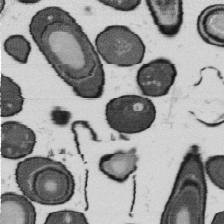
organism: B. subtilis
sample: Bacterial spore